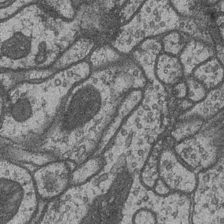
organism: Drosophila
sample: Optic medulla